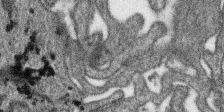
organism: Human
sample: Lung epithelial cells infected with SARS-CoV-2